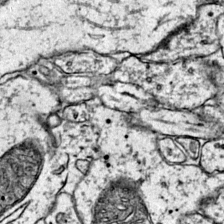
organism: Mouse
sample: Primary visual cortex